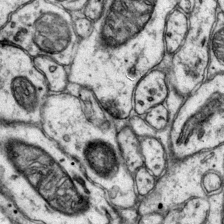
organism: Mouse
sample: Primary visual cortex